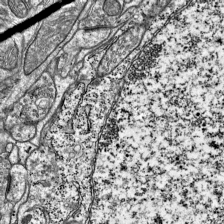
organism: Mouse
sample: Visual Cortex